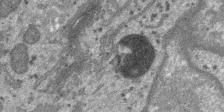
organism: Human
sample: Lung epithelial cells infected with SARS-CoV-2